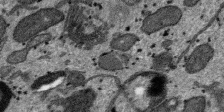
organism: Human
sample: Lung epithelial cells, uninfected (mock) control